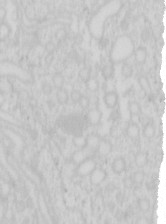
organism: Mouse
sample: Pancreas